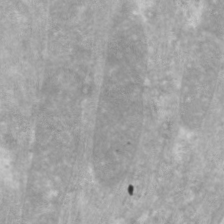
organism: C. elegans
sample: Pharynx